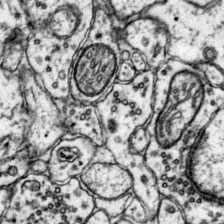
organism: Mouse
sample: Primary visual cortex